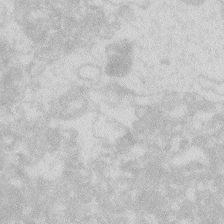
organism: Zebrafish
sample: Macrophage